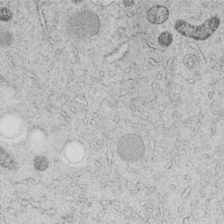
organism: C. elegans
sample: C. elegans embryo early stage